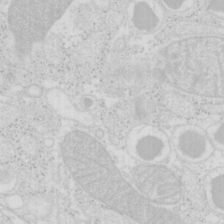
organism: Mouse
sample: Pancreas